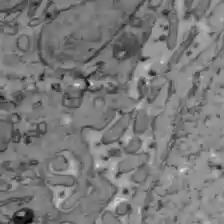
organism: C57BL Mouse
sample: Liver